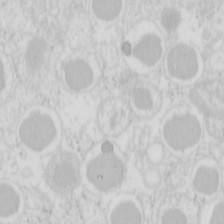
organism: Mouse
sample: Pancreas